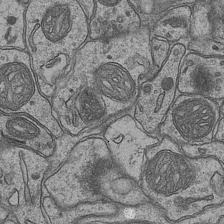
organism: Mouse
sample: CA1 Hippocampus